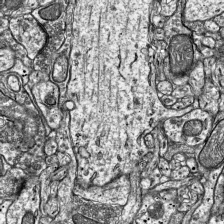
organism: Mouse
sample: Visual Cortex